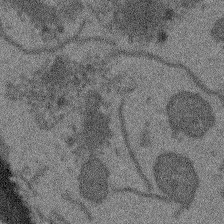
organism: Arabidopsis thaliana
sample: Root tip